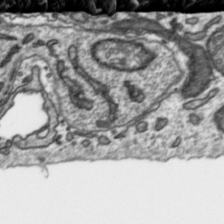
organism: Toxoplasma gondii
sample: Parasites in a vacuole inside a host cell